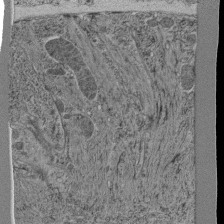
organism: C. elegans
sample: C. elegans pharynx